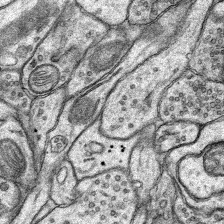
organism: Rat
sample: Hippocampus